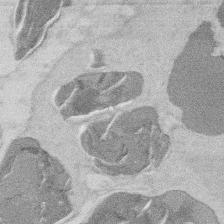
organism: Mouse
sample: T cell stromal cell synapse